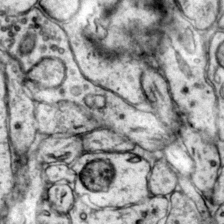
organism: Mouse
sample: Primary visual cortex